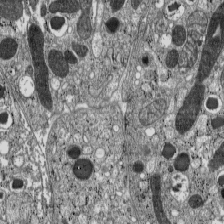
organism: C57BL Mouse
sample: Pancreatic islet